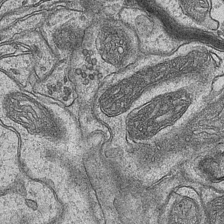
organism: Mouse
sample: CA1 Hippocampus